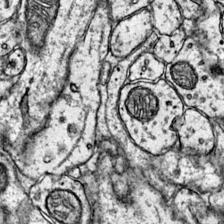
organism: Mouse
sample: Primary visual cortex